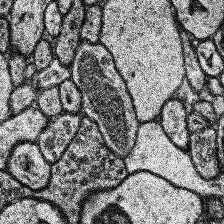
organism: Human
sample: Temporal Lobe